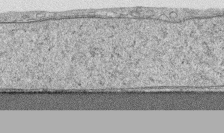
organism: Human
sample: CRL-1474